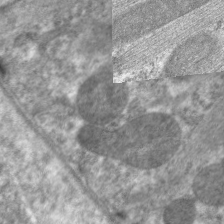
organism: C. elegans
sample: Pharynx